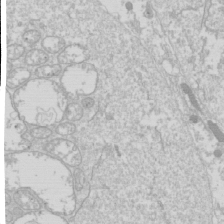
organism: Drosophila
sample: Cell division; meiosis; drosophila spermatocytes